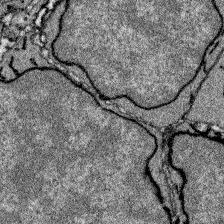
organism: Zebrafish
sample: Larval olfactory bulb